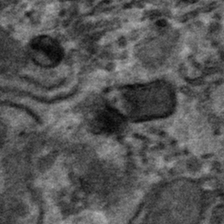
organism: Mouse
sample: Mouse hepatocytes